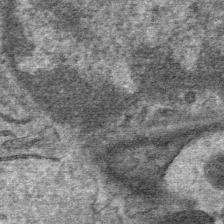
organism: Mouse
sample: Mouse Salivary gland